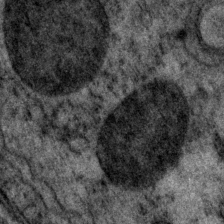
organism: P. pacificus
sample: Pharynx